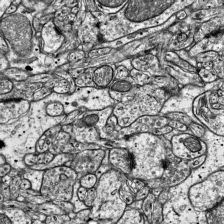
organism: Mouse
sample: Visual Cortex